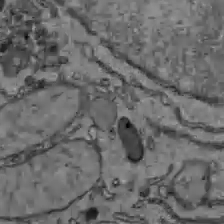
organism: C57BL Mouse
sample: Liver